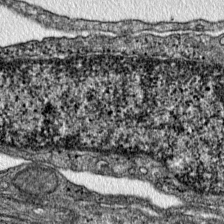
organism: Mouse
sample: Primary visual cortex